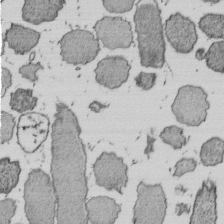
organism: E. coli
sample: Bacterial nucleoid